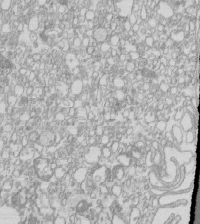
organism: Mouse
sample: Macrophages